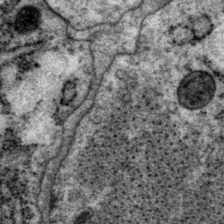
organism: P. pacificus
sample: Pharynx